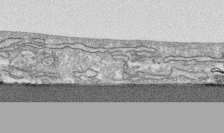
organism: Human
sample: CRL-1474